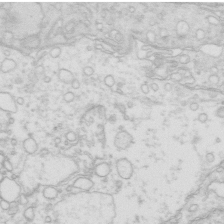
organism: Mouse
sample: Multiciliated cells